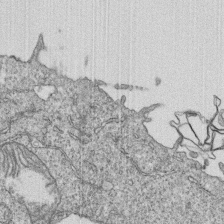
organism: Human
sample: HeLa cell HIV synapse